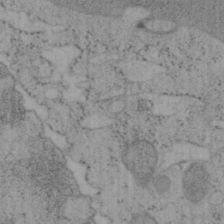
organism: Mouse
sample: OT-I killer T cells with ID8 ovarian cancer cells